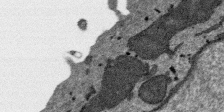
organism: Human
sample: Lung epithelial cells, uninfected (mock) control